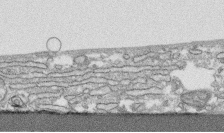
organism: Human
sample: CRL-1474